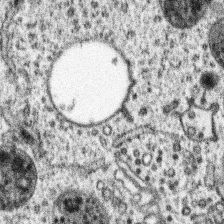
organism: Human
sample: HeLa cells